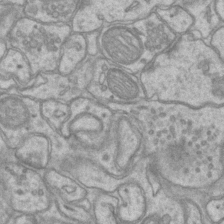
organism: Mouse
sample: CA1 Hippocampus